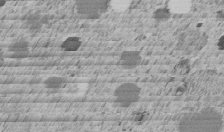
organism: C. elegans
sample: C. elegans embryo early stage